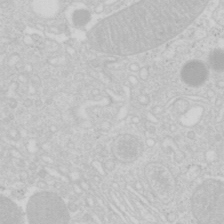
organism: Mouse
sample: Pancreas